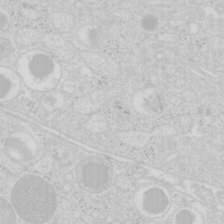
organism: Mouse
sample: Pancreas